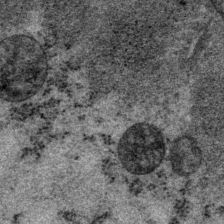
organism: P. pacificus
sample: Pharynx